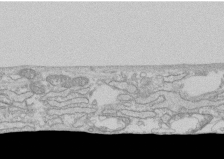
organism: Human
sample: CRL-1474